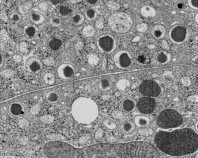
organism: C57BL Mouse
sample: Pancreatic islet